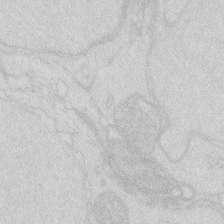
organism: Zebrafish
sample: Macrophage